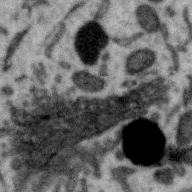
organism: Zebra finch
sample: Brain